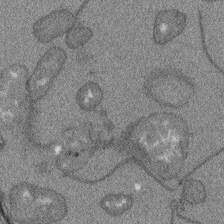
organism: Arabidopsis thaliana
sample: Root tip